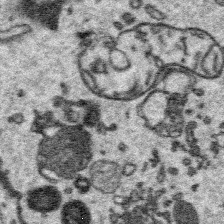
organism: Platynereis dumerilii